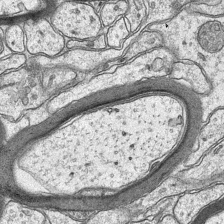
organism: Mouse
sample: CA1 Hippocampus